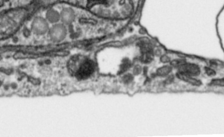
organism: Toxoplasma gondii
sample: Parasites in a vacuole inside a host cell